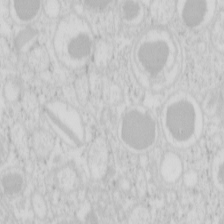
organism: Mouse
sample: Pancreas